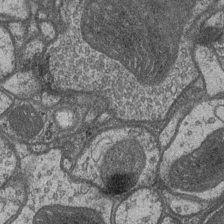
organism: Drosophila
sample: Optic medulla